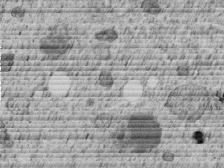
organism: C. elegans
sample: C. elegans embryo early stage